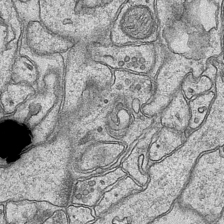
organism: Mouse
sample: CA1 Hippocampus